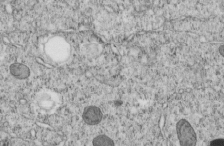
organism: C. elegans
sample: C. elegans embryo early stage